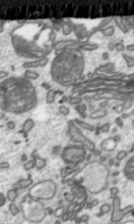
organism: Toxoplasma gondii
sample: Parasites in a vacuole inside a host cell